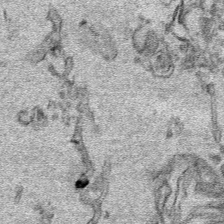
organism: Human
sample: Mitochondria in HCT116 cells